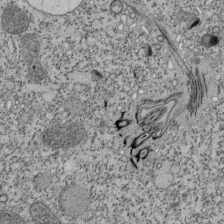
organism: Tetrahymena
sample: Cilia in tetrahymena